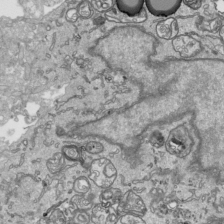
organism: Human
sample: Mitochondria in HCT116 cells